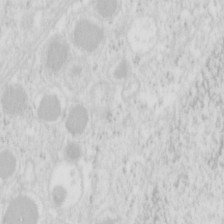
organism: Mouse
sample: Pancreas